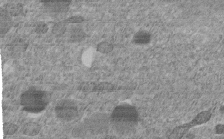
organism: C. elegans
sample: C. elegans embryo early stage